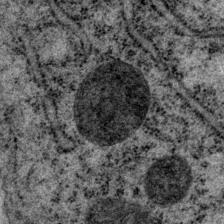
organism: P. pacificus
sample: Pharynx